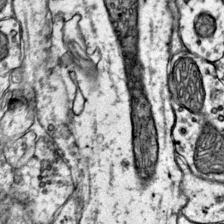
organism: Mouse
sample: Primary visual cortex